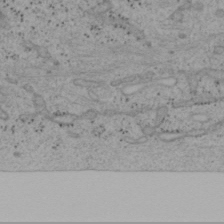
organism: Human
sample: HeLa cells